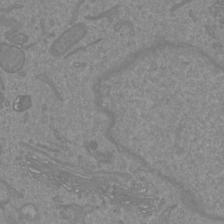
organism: Mouse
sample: Cortical neurons